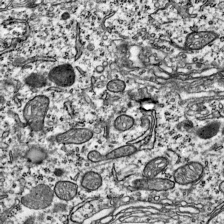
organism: Mouse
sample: Visual Cortex